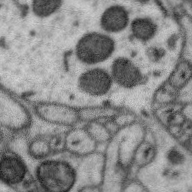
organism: Zebra finch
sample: Brain